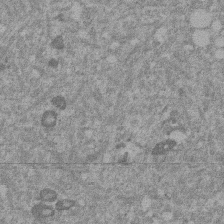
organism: Mouse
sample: Dividing mouse embryo 1 cell stage